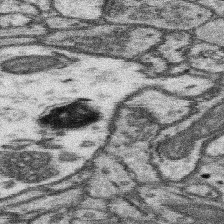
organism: Mouse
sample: Somatosensory cortex neuropil